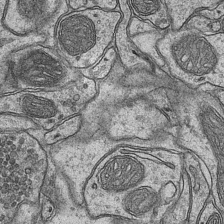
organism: Mouse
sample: CA1 Hippocampus